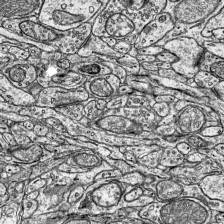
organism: Mouse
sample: Visual Cortex